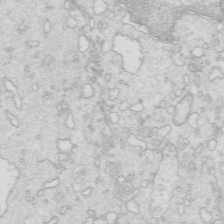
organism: Mouse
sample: Multiciliated cells